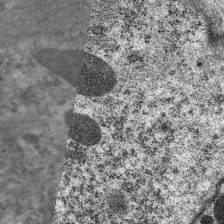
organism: C. elegans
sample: Pharynx